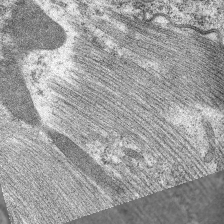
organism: C. elegans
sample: Pharynx